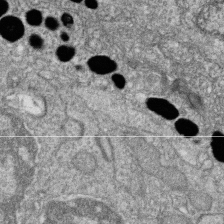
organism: Zebrafish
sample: Cilia; retinal pigment epithelium